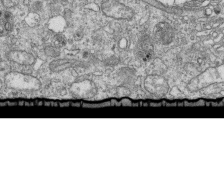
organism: Human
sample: HeLa cell HIV synapse